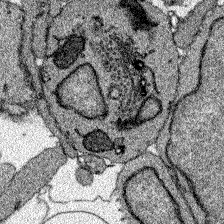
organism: Zebrafish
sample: Larval olfactory bulb